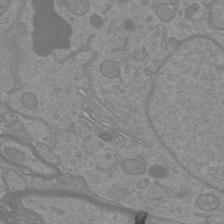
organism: Mouse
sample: Cortical neurons